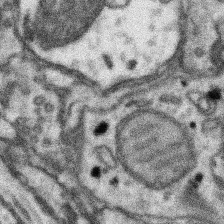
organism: Mouse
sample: Somatosensory cortex neuropil